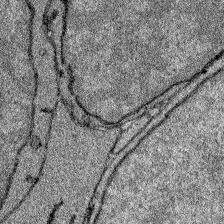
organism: Zebrafish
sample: Larval olfactory bulb